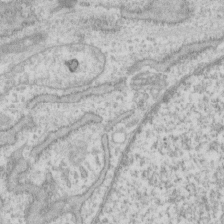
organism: Human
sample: Fibroblast cells